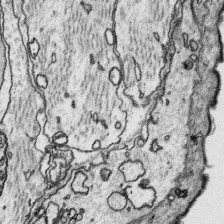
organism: Platynereis dumerilii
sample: Parapodia